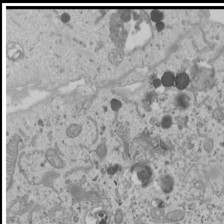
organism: Human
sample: Mitochondria in U2OS cells